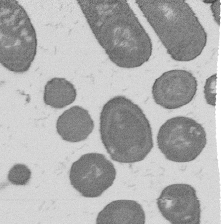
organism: B. subtilis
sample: Bacterial spore